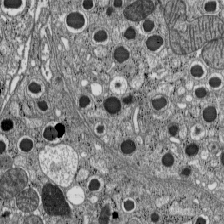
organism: C57BL Mouse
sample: Pancreatic islet